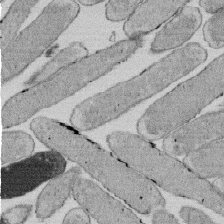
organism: E. coli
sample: Bacterial nucleoid